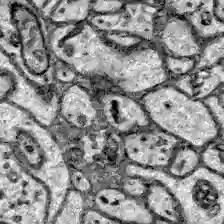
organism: Zebrafish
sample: Brain